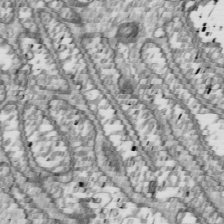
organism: Drosophila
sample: Cell division; meiosis; drosophila spermatocytes